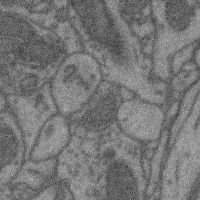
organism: Mouse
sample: Cerebral cortex